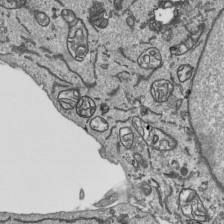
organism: Human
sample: Mitochondria in HCT116 cells